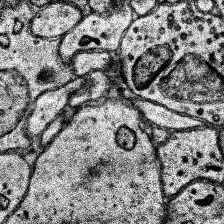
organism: Human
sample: Temporal Lobe